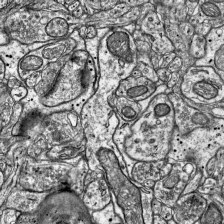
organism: Mouse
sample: Visual Cortex